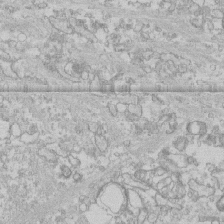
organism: Human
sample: CRL-1474